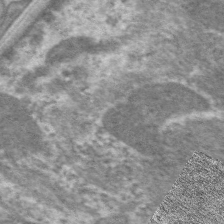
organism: C. elegans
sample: Pharynx